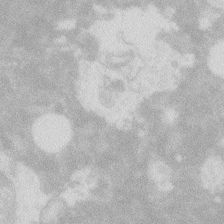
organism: Zebrafish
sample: Macrophage